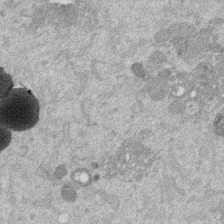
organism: Mouse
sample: Dividing mouse embryo 1 cell stage